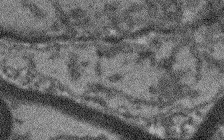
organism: Arabidopsis thaliana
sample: Root tip